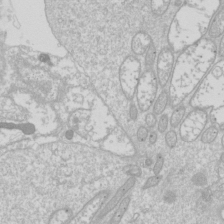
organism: Drosophila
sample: Cell division; meiosis; drosophila spermatocytes